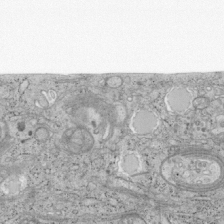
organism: Human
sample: HeLa cells